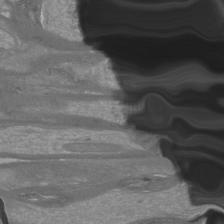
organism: Mouse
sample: Cortical neurons